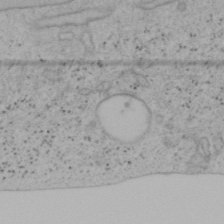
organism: Human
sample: HeLa cells